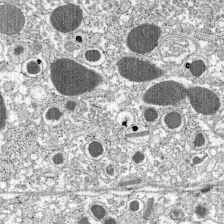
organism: C57BL Mouse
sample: Pancreatic islet